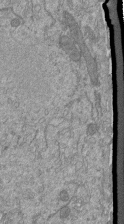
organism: Mouse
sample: ED-1 cell nuclei; centrioles